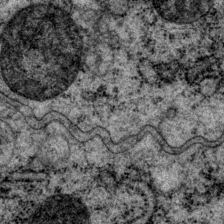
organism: P. pacificus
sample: Pharynx